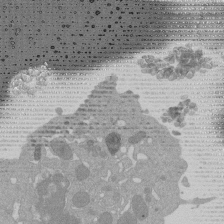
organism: Mouse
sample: Activated Pmel transgenic CD8+ T Cells